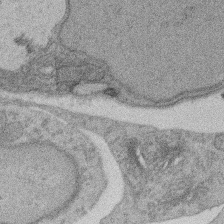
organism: Rat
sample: Salivary granule